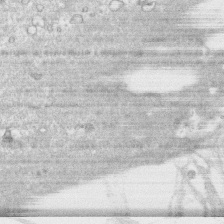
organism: Human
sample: CRL-1474